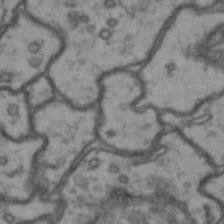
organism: Drosophila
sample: Brain